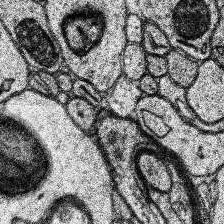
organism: Human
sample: Temporal Lobe